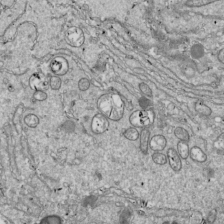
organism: Drosophila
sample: Cell division; meiosis; drosophila spermatocytes